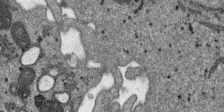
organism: Human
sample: Lung epithelial cells infected with SARS-CoV-2